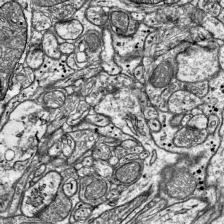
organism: Mouse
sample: Visual Cortex